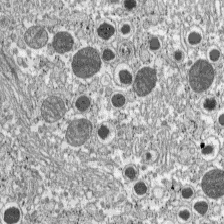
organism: C57BL Mouse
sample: Pancreatic islet